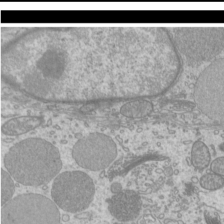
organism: Mouse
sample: Cilia; mouse epididymis